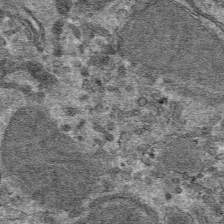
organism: Mouse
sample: Mouse hepatocytes